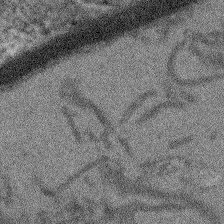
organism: Arabidopsis thaliana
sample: Root tip